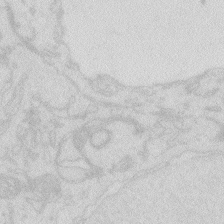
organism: Zebrafish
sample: Macrophage